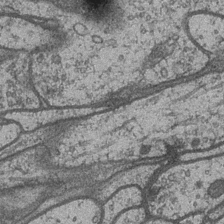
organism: Drosophila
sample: Optic medulla